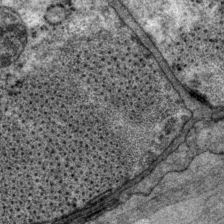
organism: P. pacificus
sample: Pharynx